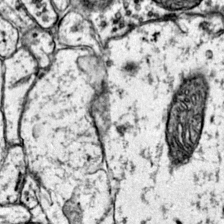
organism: Mouse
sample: Primary visual cortex